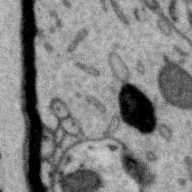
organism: Zebra finch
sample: Brain